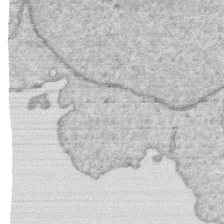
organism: Human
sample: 1205lu cells